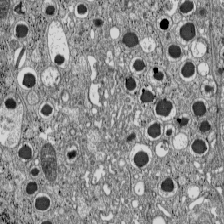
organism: C57BL Mouse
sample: Pancreatic islet